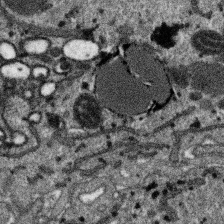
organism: Human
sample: Lung epithelial cells infected with SARS-CoV-2